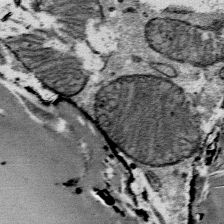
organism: Mouse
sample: Mouse Salivary gland